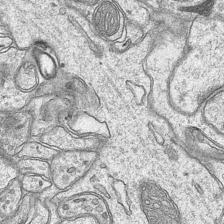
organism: Mouse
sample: CA1 Hippocampus